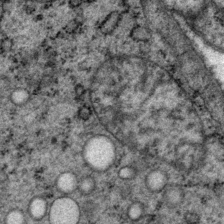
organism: P. pacificus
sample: Pharynx